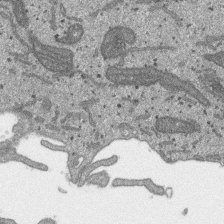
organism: Human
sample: Lung epithelial cells infected with SARS-CoV-2